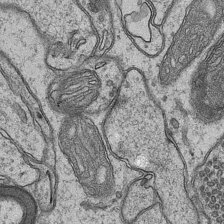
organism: Mouse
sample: CA1 Hippocampus